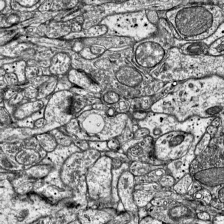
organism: Mouse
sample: Visual Cortex